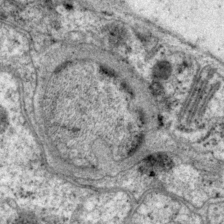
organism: P. pacificus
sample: Pharynx